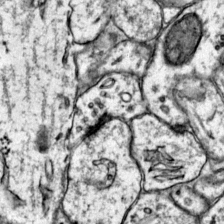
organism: Mouse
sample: Primary visual cortex